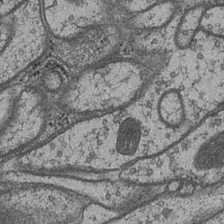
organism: Drosophila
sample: Optic medulla